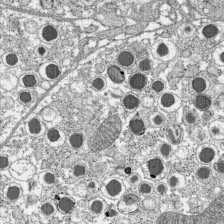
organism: C57BL Mouse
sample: Pancreatic islet